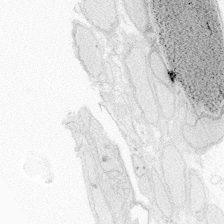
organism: Zebrafish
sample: Whole-Brain